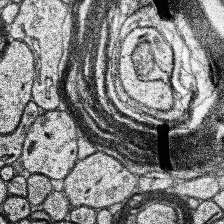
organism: Human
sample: Temporal Lobe